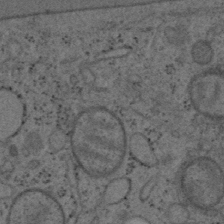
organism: Human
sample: HeLa cells